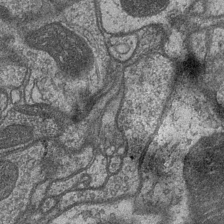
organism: Drosophila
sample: Optic medulla